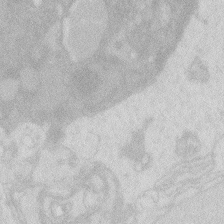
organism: Zebrafish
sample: Macrophage